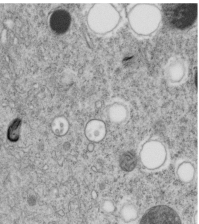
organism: C. elegans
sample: C. elegans embryo early stage